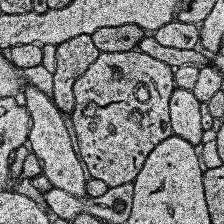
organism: Human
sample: Temporal Lobe